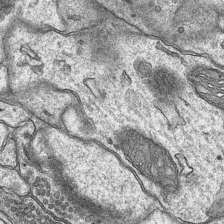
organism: Mouse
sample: CA1 Hippocampus